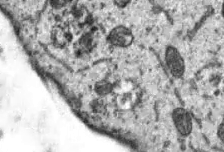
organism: Human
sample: HeLa cells